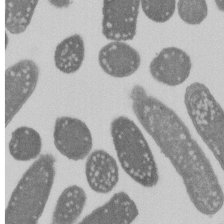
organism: E. coli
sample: Bacterial nucleoid